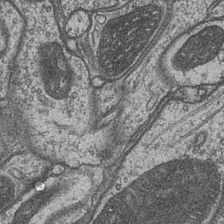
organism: Drosophila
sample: Optic medulla